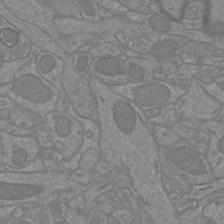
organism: Mouse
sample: Cortical neurons